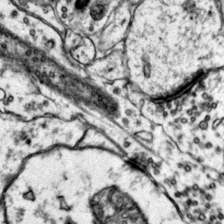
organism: Mouse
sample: Primary visual cortex